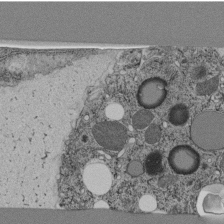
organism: C. elegans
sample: C. elegans pharynx